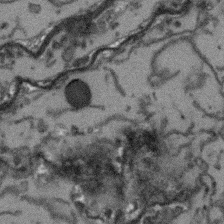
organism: Arabidopsis thaliana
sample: Root tip